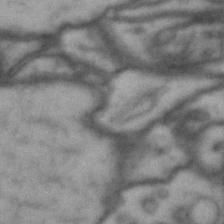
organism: Drosophila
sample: Brain